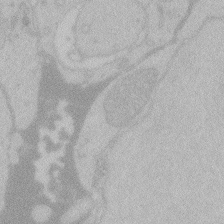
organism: Zebrafish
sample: Macrophage infected with Toxoplasma gondii